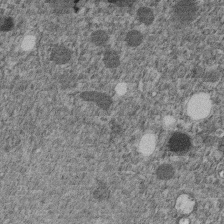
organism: C. elegans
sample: C. elegans embryo early stage